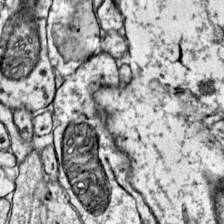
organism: Mouse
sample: Primary visual cortex